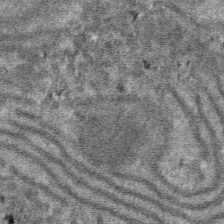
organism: Mouse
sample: Mouse hepatocytes